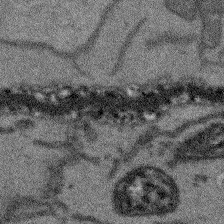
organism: Arabidopsis thaliana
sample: Root tip